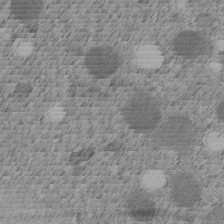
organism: C. elegans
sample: C. elegans embryo early stage